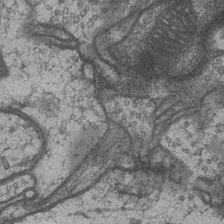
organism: Drosophila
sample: Optic medulla